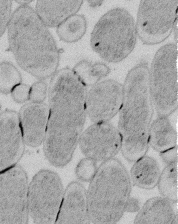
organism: E. coli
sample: Bacterial nucleoid